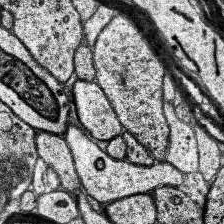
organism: Human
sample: Temporal Lobe